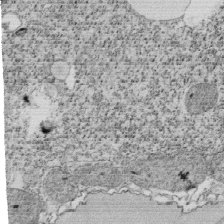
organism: Tetrahymena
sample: Cilia in tetrahymena